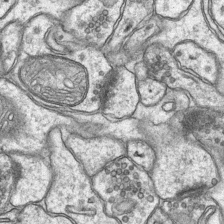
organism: Mouse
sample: CA1 Hippocampus